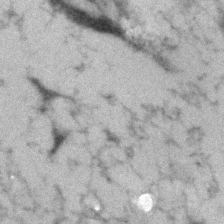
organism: Human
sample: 1205lu cells